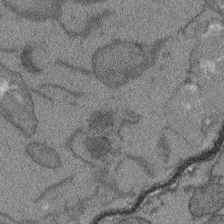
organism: Arabidopsis thaliana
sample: Root tip